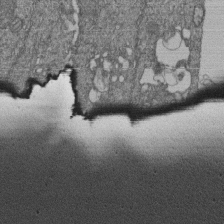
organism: Human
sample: Retinal organoid Rod and Cone cells